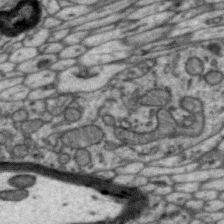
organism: Zebra finch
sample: Brain